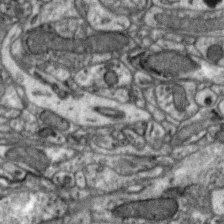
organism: Zebra finch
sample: Brain